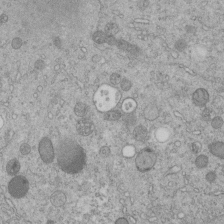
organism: C. elegans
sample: C. elegans embryo early stage